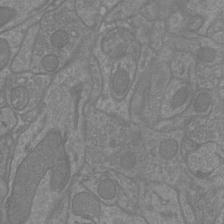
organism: Mouse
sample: Cortical neurons